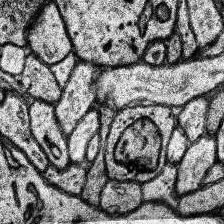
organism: Human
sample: Temporal Lobe